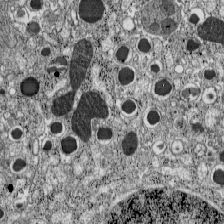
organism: C57BL Mouse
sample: Pancreatic islet